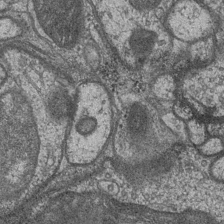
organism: Drosophila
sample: Optic medulla